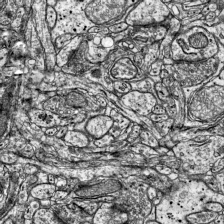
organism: Mouse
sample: Visual Cortex